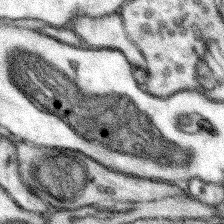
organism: Mouse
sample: Somatosensory cortex neuropil